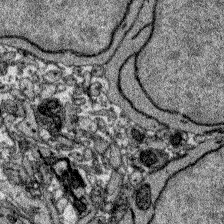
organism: Zebrafish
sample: Larval olfactory bulb